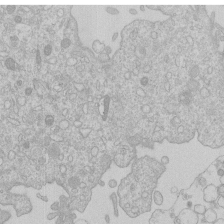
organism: Human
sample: Macrophage cells